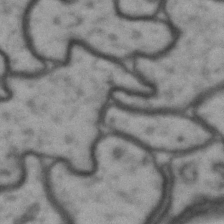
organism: Drosophila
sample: Brain